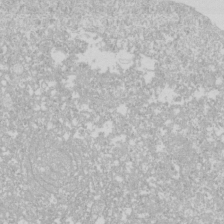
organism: Drosophila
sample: Cell division; meiosis; drosophila spermatocytes